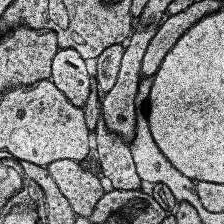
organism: Human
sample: Temporal Lobe